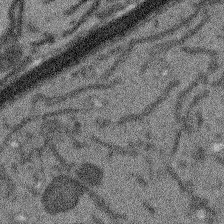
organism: Arabidopsis thaliana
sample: Root tip